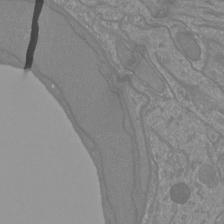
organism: Mouse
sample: Cortical neurons